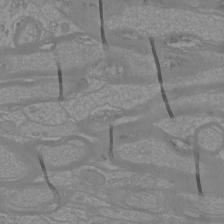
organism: Mouse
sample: Cortical neurons